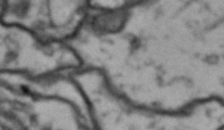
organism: Drosophila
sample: Brain